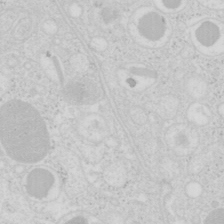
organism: Mouse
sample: Pancreas